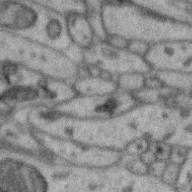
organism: Zebra finch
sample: Brain